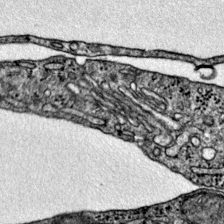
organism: Mouse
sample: Primary visual cortex